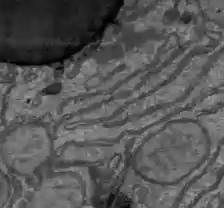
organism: C57BL Mouse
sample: Liver